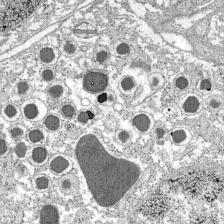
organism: C57BL Mouse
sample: Pancreatic islet